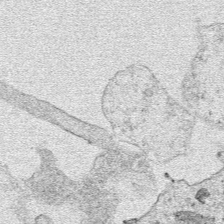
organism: Human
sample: Mitochondria in HCT116 cells